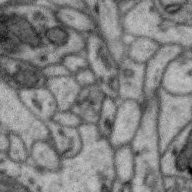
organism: Zebra finch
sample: Brain